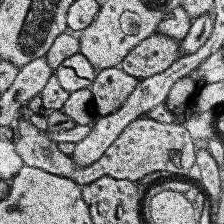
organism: Human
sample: Temporal Lobe